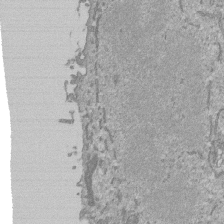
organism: Mouse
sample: ED-1 cell nuclei; centrioles